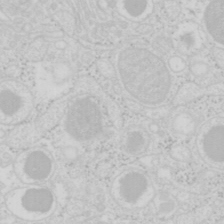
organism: Mouse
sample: Pancreas